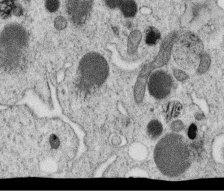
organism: C. elegans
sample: C. elegans oocyte; sperm cells